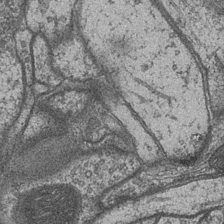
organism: Drosophila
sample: Optic medulla